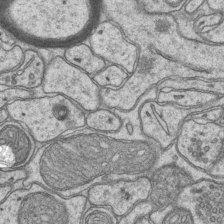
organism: Mouse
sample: CA1 Hippocampus